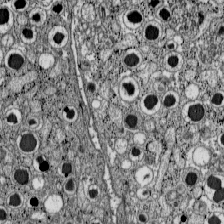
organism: C57BL Mouse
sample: Pancreatic islet